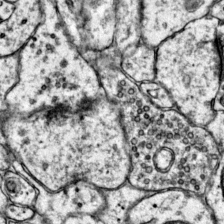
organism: Mouse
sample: Primary visual cortex